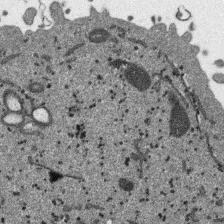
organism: Human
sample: Lung epithelial cells infected with SARS-CoV-2